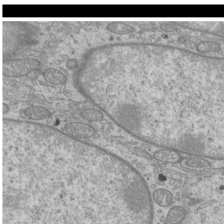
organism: Mouse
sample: Cilia; mouse epididymis